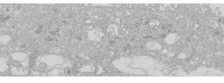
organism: Human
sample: Caco-2 cells